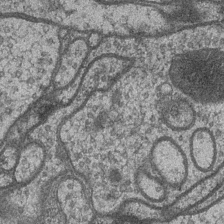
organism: Drosophila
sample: Optic medulla